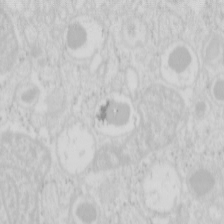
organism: Mouse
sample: Pancreas